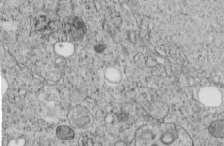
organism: C. elegans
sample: C. elegans embryo early stage